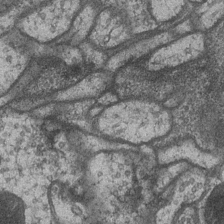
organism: Drosophila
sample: Optic medulla